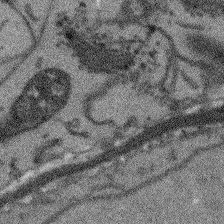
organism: Arabidopsis thaliana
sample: Root tip